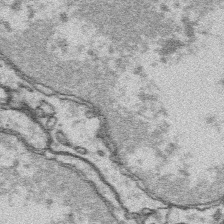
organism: Platynereis dumerilii